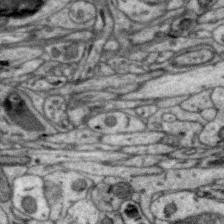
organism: Zebra finch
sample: Brain